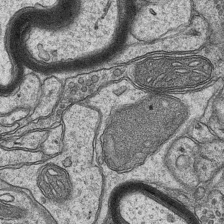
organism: Mouse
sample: CA1 Hippocampus